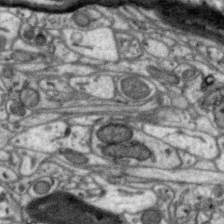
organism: Zebra finch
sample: Brain